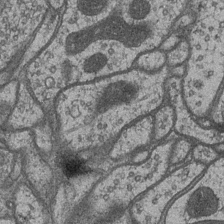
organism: Drosophila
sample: Optic medulla